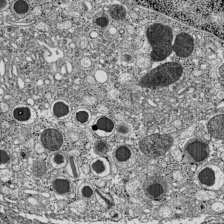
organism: C57BL Mouse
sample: Pancreatic islet